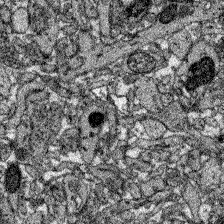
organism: Zebrafish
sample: Larval olfactory bulb